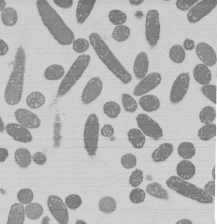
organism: E. coli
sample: Bacterial nucleoid